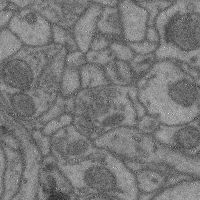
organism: Mouse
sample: Cerebral cortex